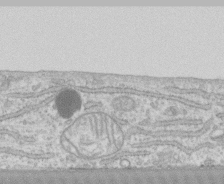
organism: Human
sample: CRL-1474